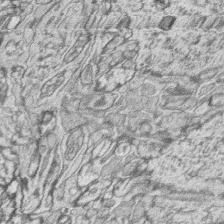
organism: Zebrafish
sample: synaptic ribbons in rod cells and cone cells